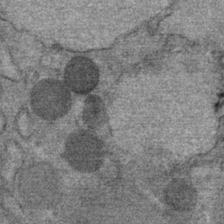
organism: Mouse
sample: Mouse Salivary gland